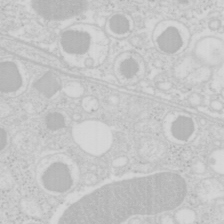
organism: Mouse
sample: Pancreas